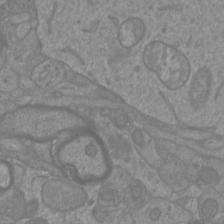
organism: Mouse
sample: Cortical neurons